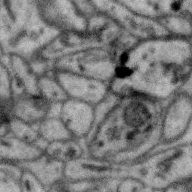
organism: Zebra finch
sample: Brain